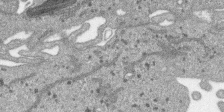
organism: Human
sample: Lung epithelial cells infected with SARS-CoV-2